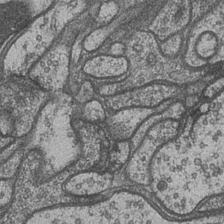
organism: Drosophila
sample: Optic medulla